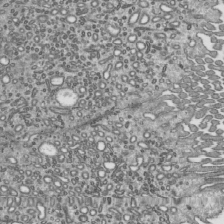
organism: Mouse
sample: Mouse epididymis efferent ductule cilia